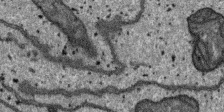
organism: Human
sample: Lung epithelial cells, uninfected (mock) control